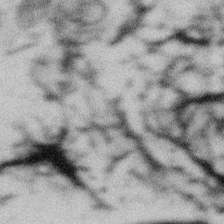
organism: Gemmata obscuriglobus